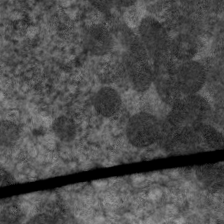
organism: C. elegans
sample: Pharynx